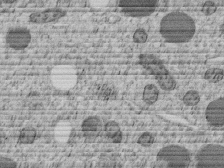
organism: C. elegans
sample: C. elegans embryo early stage